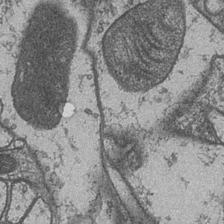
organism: Drosophila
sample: Optic medulla